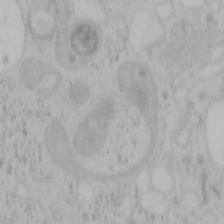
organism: Mouse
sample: OT-I killer T cells with ID8 ovarian cancer cells